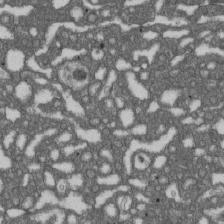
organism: Drosophila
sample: Nephrocyte